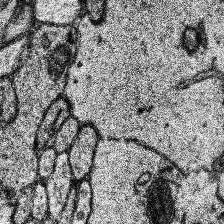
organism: Human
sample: Temporal Lobe